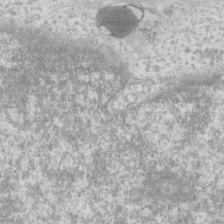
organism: Human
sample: Fibroblast cells